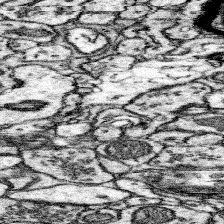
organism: Mouse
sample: Somatosensory cortex neuropil